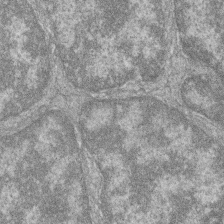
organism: Zebrafish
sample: Cilia; retinal pigment epithelium